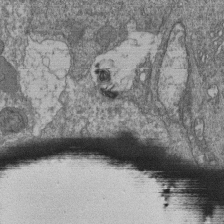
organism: Human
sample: Retinal organoid Rod and Cone cells